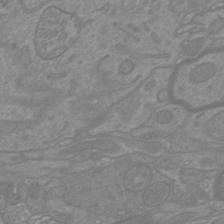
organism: Mouse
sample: Cortical neurons